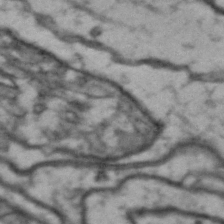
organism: Drosophila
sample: Brain